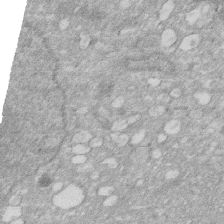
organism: Human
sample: HIV infected U937 cells